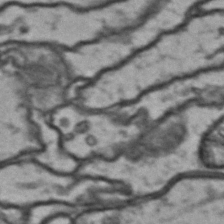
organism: Drosophila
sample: Brain